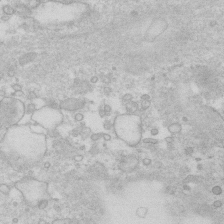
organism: Human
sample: Fibroblast cells